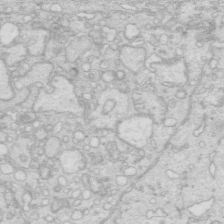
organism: Mouse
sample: Multiciliated cells